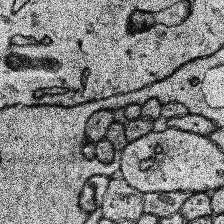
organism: Human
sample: Temporal Lobe